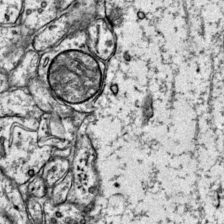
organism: Mouse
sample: Primary visual cortex